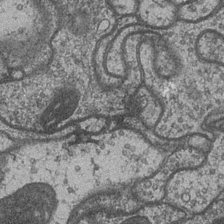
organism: Drosophila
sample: Optic medulla